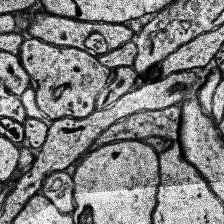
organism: Human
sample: Temporal Lobe